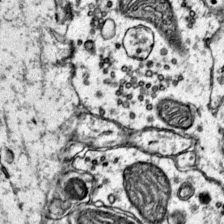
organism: Mouse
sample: Primary visual cortex